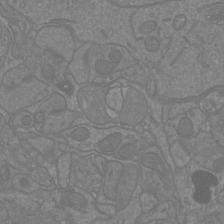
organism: Mouse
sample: Cortical neurons